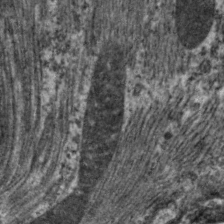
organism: C. elegans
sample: Pharynx